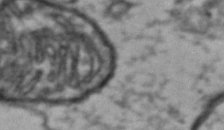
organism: Drosophila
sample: Brain